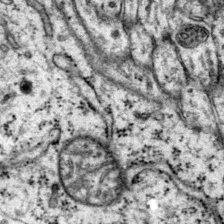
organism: Mouse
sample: Primary visual cortex